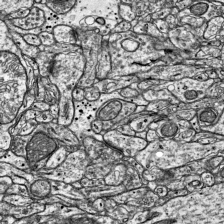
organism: Mouse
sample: Visual Cortex